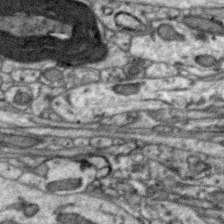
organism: Zebra finch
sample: Brain